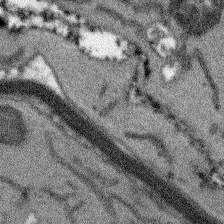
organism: Arabidopsis thaliana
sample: Root tip